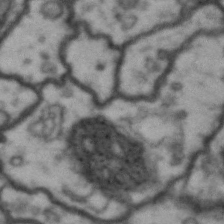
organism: Drosophila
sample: Brain